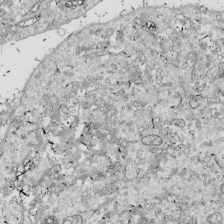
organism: Drosophila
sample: Cell division; meiosis; drosophila spermatocytes